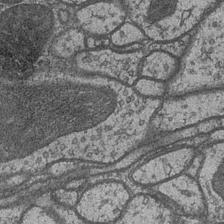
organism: Drosophila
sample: Optic medulla